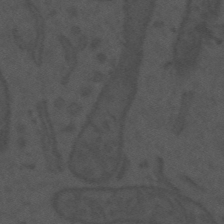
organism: Mouse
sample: Suprachiasmatic nucleus